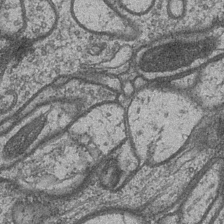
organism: Drosophila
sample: Optic medulla